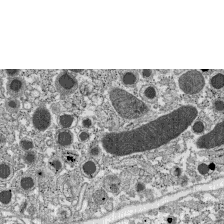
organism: C57BL Mouse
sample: Pancreatic islet